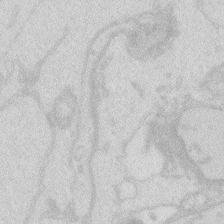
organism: Zebrafish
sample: Macrophage